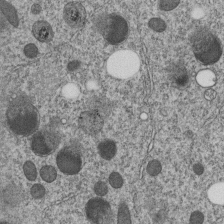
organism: C. elegans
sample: C. elegans embryo early stage